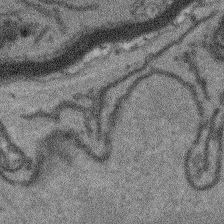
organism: Arabidopsis thaliana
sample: Root tip